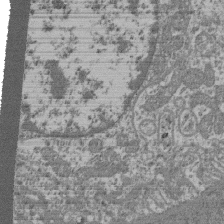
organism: Mouse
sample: Glomerulus